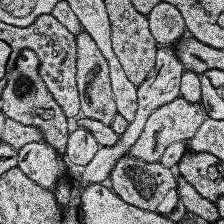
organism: Human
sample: Temporal Lobe